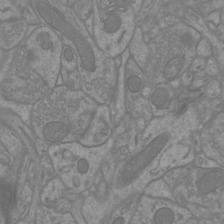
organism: Mouse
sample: Cortical neurons